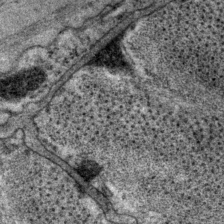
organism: P. pacificus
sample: Pharynx